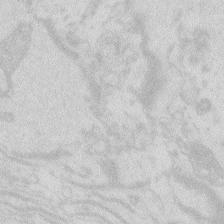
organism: Zebrafish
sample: Macrophage